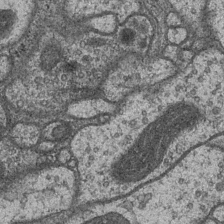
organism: Drosophila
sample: Optic medulla